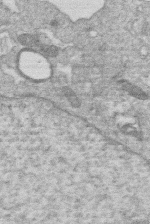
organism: Human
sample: Macrophage cells